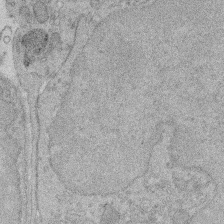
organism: Rat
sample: Salivary granule